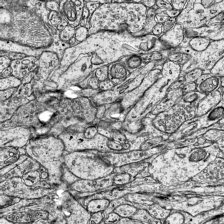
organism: Mouse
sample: Visual Cortex